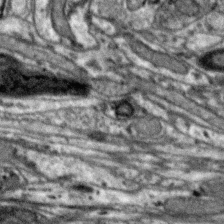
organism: Zebra finch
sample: Brain